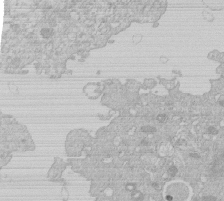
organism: Human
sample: Macrophage cells